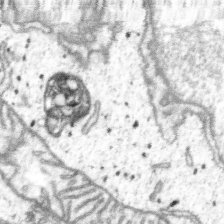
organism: Human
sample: HeLa cells